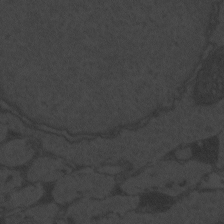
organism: Zebrafish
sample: Macrophage infected with Toxoplasma gondii